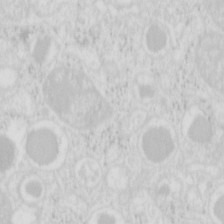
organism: Mouse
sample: Pancreas